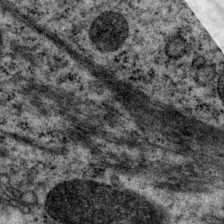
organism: P. pacificus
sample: Pharynx